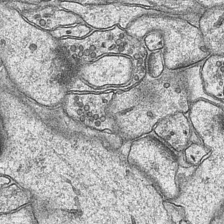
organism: Mouse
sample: CA1 Hippocampus